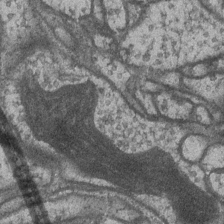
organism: Drosophila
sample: Optic medulla